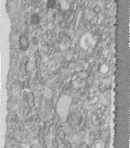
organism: Human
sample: Centriole in fibroblast cells